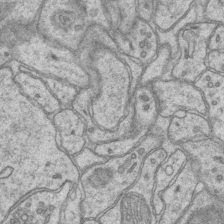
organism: Mouse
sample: CA1 Hippocampus